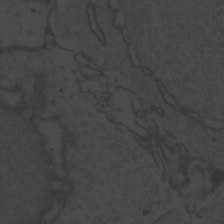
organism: Zebrafish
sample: Macrophage infected with Toxoplasma gondii